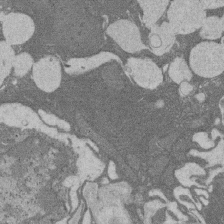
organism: Rat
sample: Salivary granule